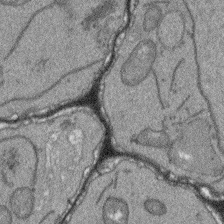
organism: Arabidopsis thaliana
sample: Root tip